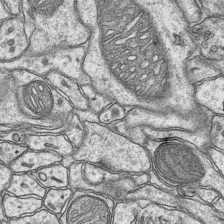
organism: Mouse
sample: CA1 Hippocampus